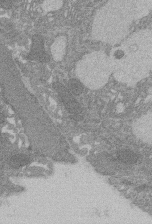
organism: Rat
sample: Salivary granule